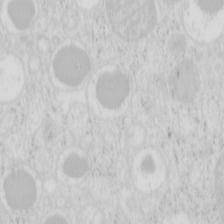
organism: Mouse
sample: Pancreas